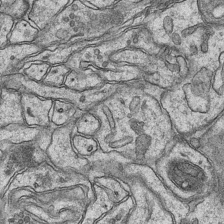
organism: Mouse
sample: CA1 Hippocampus